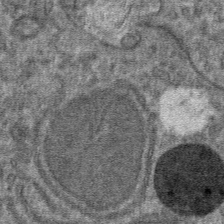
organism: Mouse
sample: Mouse hepatocytes